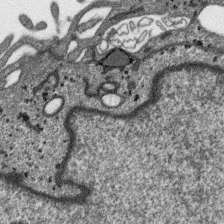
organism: Human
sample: Lung epithelial cells infected with SARS-CoV-2